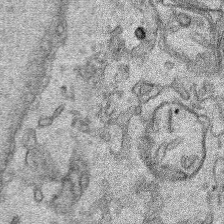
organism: Human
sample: Mitochondria in HCT116 cells